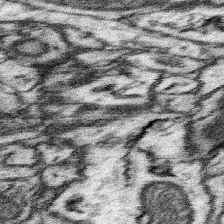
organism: Mouse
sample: Somatosensory cortex neuropil